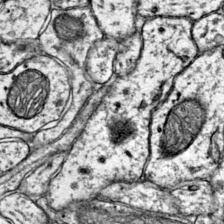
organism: Mouse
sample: Primary visual cortex